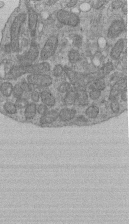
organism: Human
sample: Retinal organoid Rod and Cone cells